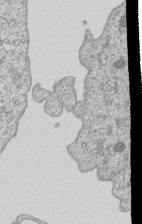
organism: Human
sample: MDA-MB-231 cells